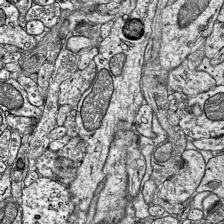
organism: Mouse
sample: Visual Cortex